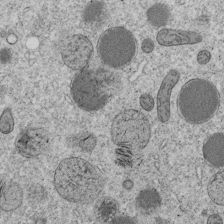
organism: C. elegans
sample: C. elegans embryo early stage